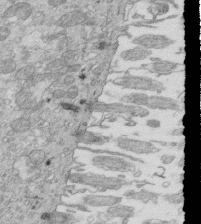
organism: Mouse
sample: Multiciliated cells